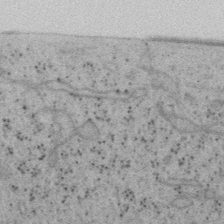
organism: Human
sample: HeLa cells